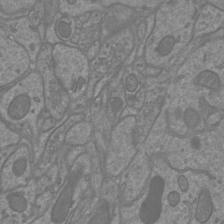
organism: Mouse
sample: Cortical neurons